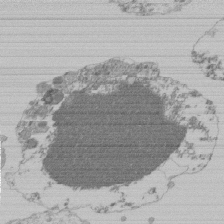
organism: Mouse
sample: Activated Pmel transgenic CD8+ T Cells